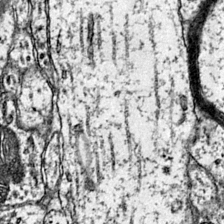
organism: Mouse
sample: Primary visual cortex